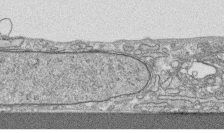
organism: Human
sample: CRL-1474